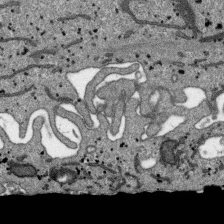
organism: Human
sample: Lung epithelial cells, uninfected (mock) control